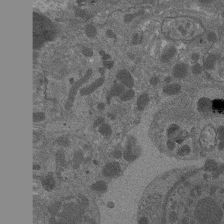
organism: Drosophila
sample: Antenna